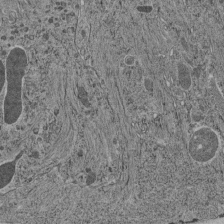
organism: C. elegans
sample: C. elegans pharynx